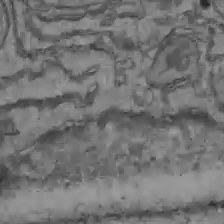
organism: C57BL Mouse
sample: Liver